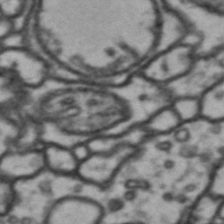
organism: Drosophila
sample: Brain